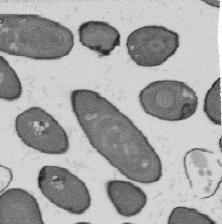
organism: B. subtilis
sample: Bacterial spore